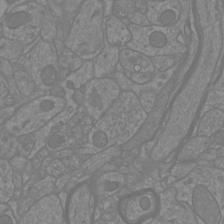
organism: Mouse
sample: Cortical neurons